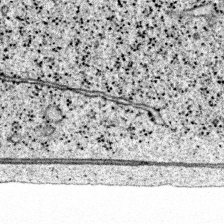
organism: Human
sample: HeLa cells